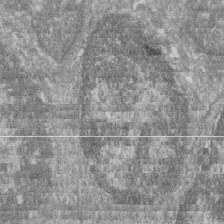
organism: Zebrafish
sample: Cilia; retinal pigment epithelium